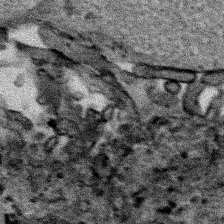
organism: Human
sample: Mitochondria in HCT116 cells